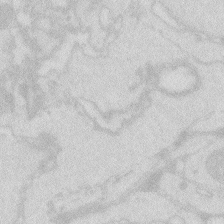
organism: Zebrafish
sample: Macrophage